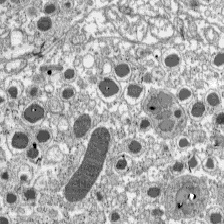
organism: C57BL Mouse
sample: Pancreatic islet